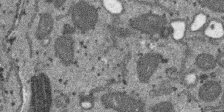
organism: Human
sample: Lung epithelial cells infected with SARS-CoV-2